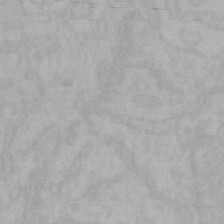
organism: Mouse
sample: Choroid plexus